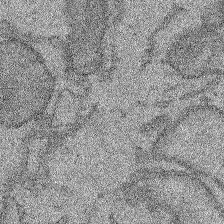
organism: Human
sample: HeLa cells